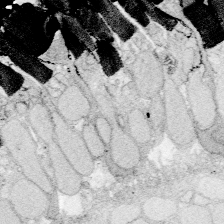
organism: Zebrafish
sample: Whole-Brain